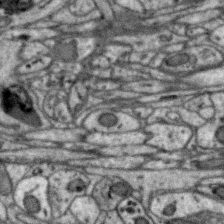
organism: Zebra finch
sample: Brain